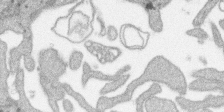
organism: Human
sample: Lung epithelial cells infected with SARS-CoV-2